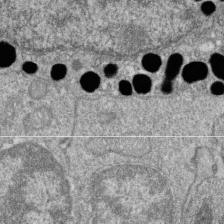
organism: Zebrafish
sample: Cilia; retinal pigment epithelium